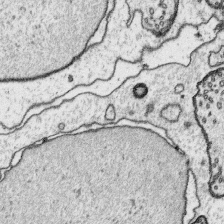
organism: Platynereis dumerilii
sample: Parapodia